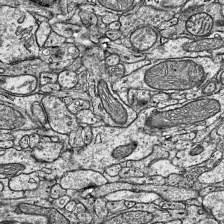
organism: Mouse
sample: Visual Cortex